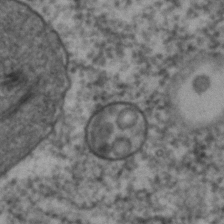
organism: C. elegans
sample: C. elegans embryo